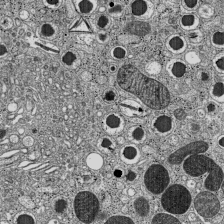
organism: C57BL Mouse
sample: Pancreatic islet